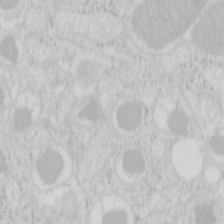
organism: Mouse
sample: Pancreas